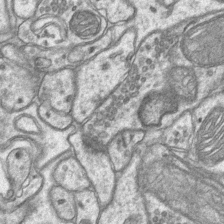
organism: Mouse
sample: CA1 Hippocampus